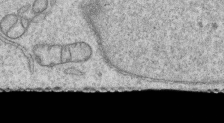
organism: Human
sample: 1205lu cells